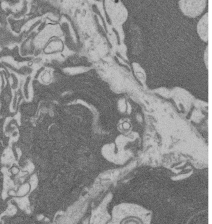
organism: Rat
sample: Salivary granule